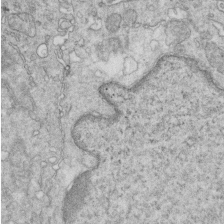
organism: Mouse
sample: Multiciliated cells